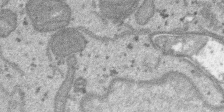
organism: Human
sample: Lung epithelial cells infected with SARS-CoV-2